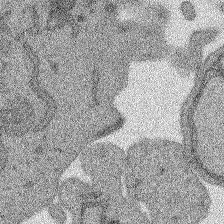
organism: Human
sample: HeLa cells